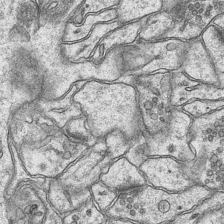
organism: Mouse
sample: CA1 Hippocampus